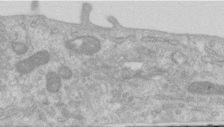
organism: Human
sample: Centriole in RPE cells